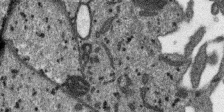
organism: Human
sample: Lung epithelial cells infected with SARS-CoV-2